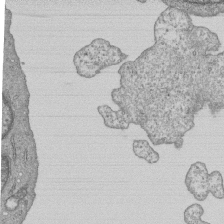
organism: Human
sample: MDA-MB-231 cells